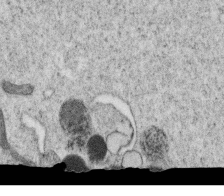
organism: C. elegans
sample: C. elegans oocyte; sperm cells